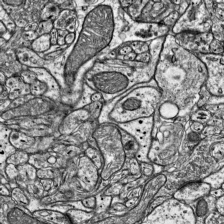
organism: Mouse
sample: Visual Cortex